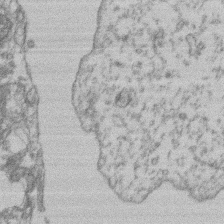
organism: Mouse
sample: T cell stromal cell synapse